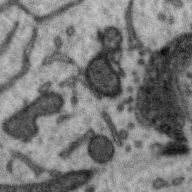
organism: Zebra finch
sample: Brain